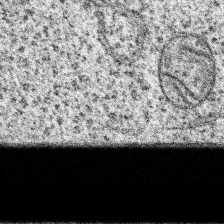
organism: Human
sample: HeLa cells